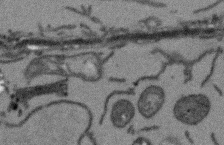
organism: Arabidopsis thaliana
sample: Root tip